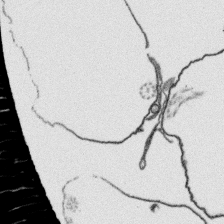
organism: Platynereis dumerilii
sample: Parapodia